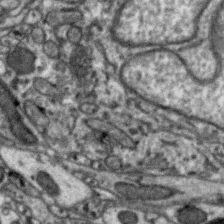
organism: Zebra finch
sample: Brain